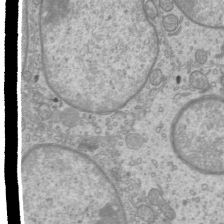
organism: Mouse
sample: Cilia; mouse epididymis